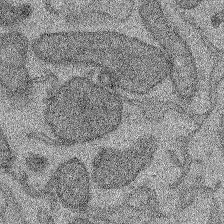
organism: Human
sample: HeLa cells